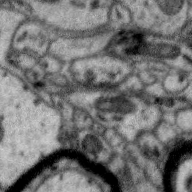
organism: Zebra finch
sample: Brain